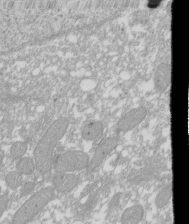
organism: Xenopus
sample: Cilia; centrioles in frog embryo cells